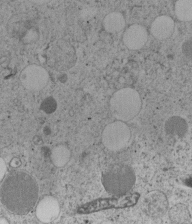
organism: C. elegans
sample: C. elegans embryo early stage